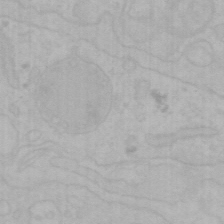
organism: Mouse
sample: Choroid plexus